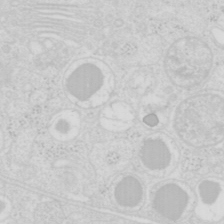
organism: Mouse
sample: Pancreas